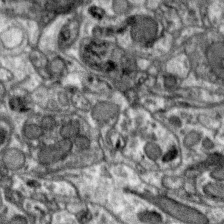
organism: Zebra finch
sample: Brain